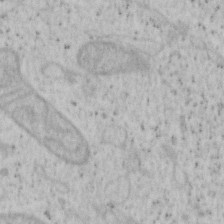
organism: Human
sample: HeLa cells